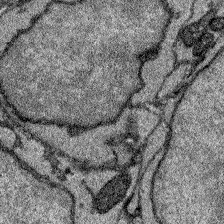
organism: Zebrafish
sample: Larval olfactory bulb